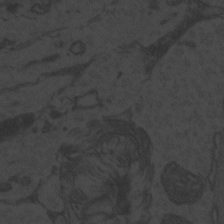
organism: Zebrafish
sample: Macrophage infected with Toxoplasma gondii